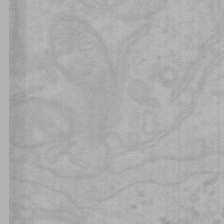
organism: Mouse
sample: Choroid plexus